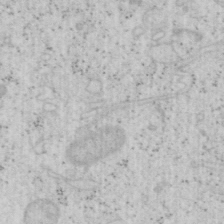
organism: Human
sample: HeLa cells